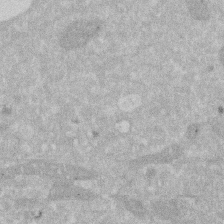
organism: Human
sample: HIV infected U937 cells